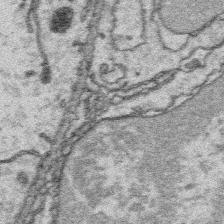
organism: Platynereis dumerilii